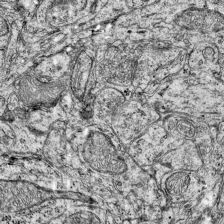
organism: Mouse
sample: Visual Cortex